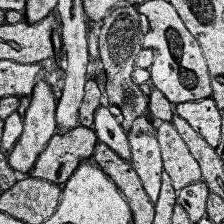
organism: Human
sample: Temporal Lobe